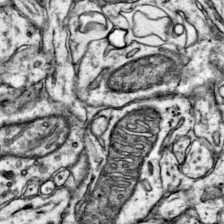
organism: Mouse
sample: Primary visual cortex